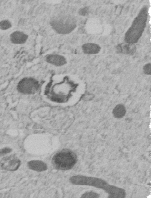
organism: C. elegans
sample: C. elegans embryo early stage